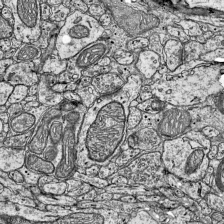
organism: Mouse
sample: Visual Cortex